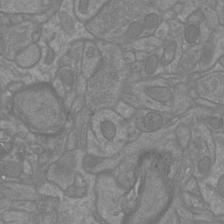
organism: Mouse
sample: Cortical neurons